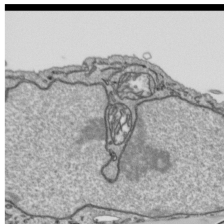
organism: Human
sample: Mitochondria in HCT116 cells